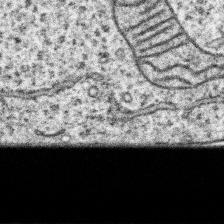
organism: Human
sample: HeLa cells